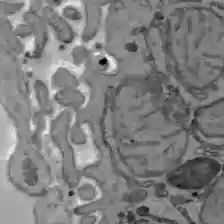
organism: C57BL Mouse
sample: Liver